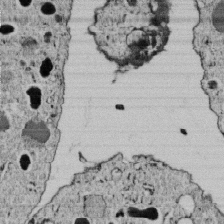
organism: C. elegans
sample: C. elegans embryo early stage